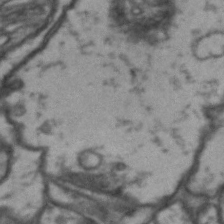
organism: Drosophila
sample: Brain